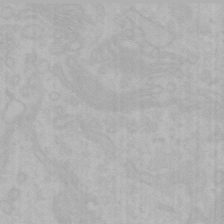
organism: Mouse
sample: Choroid plexus